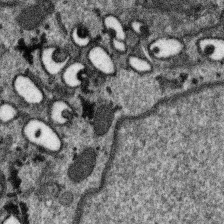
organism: Human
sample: Lung epithelial cells infected with SARS-CoV-2